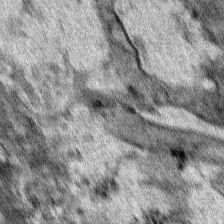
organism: Human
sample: Mitochondria in HCT116 cells